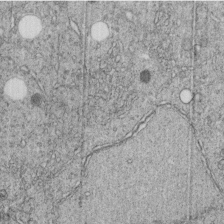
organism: C. elegans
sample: C. elegans embryo early stage